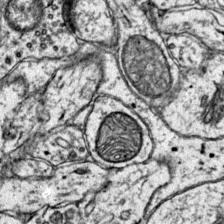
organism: Mouse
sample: Primary visual cortex